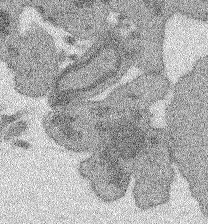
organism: Human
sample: HeLa cells